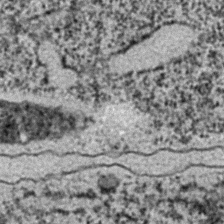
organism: C. elegans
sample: C. elegans embryo